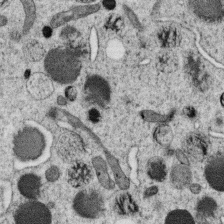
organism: C. elegans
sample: C. elegans oocyte; sperm cells